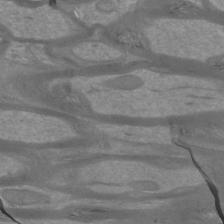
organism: Mouse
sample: Cortical neurons